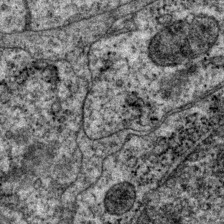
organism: P. pacificus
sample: Pharynx